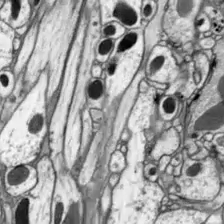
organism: Drosophila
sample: Optic lobe